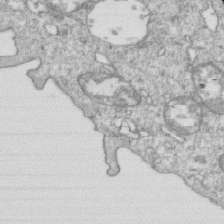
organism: Mouse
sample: Activated OT-1 CD8+ T cells